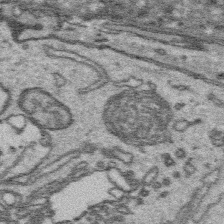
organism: Platynereis dumerilii